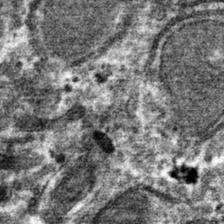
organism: Mouse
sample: Mouse hepatocytes